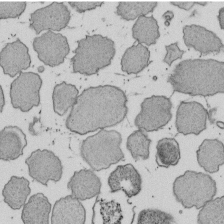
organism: E. coli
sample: Bacterial nucleoid